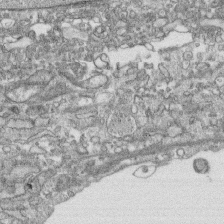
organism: Human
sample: CRL-1474